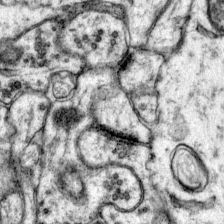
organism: Mouse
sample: Primary visual cortex